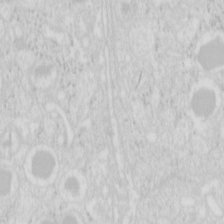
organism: Mouse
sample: Pancreas